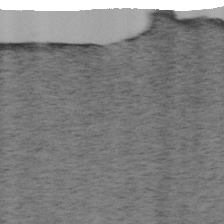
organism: Mouse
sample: OT-I killer T cells with ID8 ovarian cancer cells